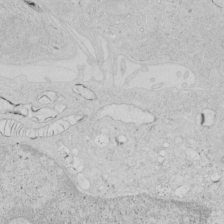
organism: Human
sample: Mitochondria in HCT116 cells